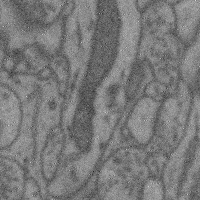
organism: Mouse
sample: Cerebral cortex